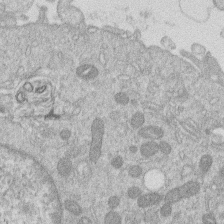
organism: Human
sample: Macrophage cells